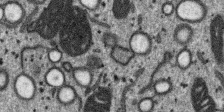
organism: Human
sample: Lung epithelial cells infected with SARS-CoV-2